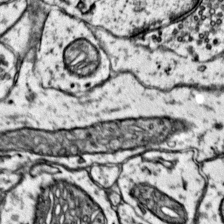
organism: Mouse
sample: Primary visual cortex